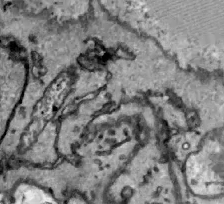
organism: Zebrafish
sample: Actinotrichia fibers